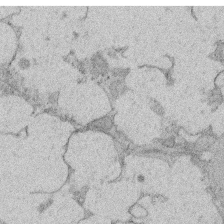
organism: Rat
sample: Salivary granule